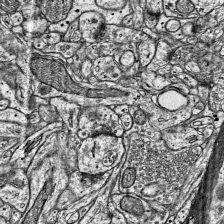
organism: Mouse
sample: Visual Cortex